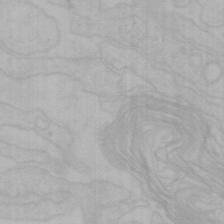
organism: Mouse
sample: Choroid plexus